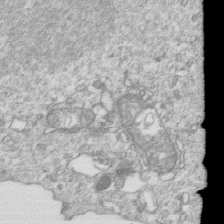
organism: Mouse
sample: Activated OT-1 CD8+ T cells